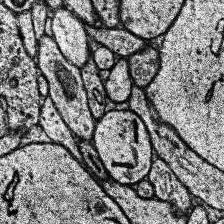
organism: Human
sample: Temporal Lobe